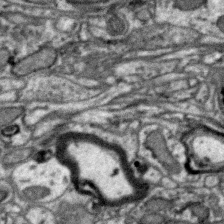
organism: Zebra finch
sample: Brain